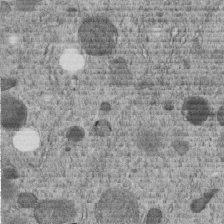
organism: C. elegans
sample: C. elegans embryo early stage